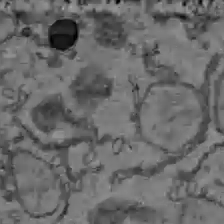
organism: C57BL Mouse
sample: Liver